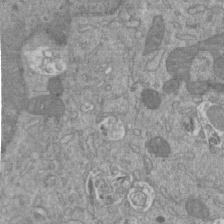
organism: Mouse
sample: ED-1 cell nuclei; centrioles